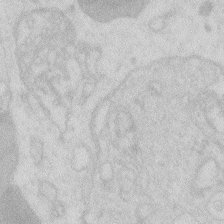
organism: Zebrafish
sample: Macrophage